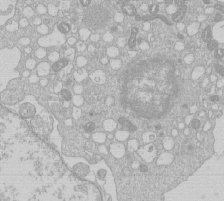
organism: Human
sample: Macrophage cells